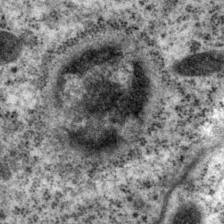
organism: P. pacificus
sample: Pharynx